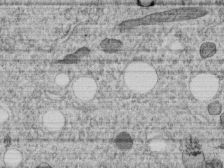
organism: C. elegans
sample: C. elegans embryo early stage